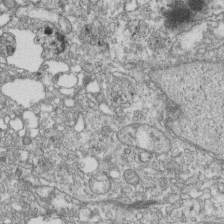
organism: Human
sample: HeLa cell HIV synapse